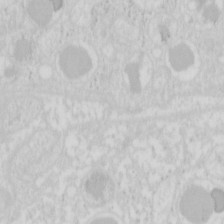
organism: Mouse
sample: Pancreas